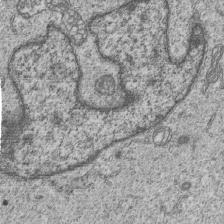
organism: Human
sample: MDA-MB-231 cells